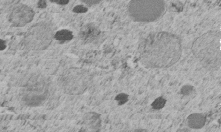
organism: C. elegans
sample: C. elegans embryo early stage